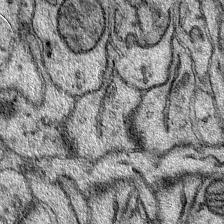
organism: Mouse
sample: Primary visual cortex